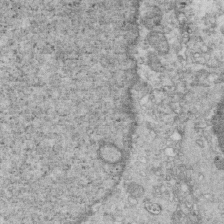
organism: Mouse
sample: Multiciliated cells